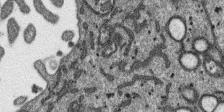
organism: Human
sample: Lung epithelial cells infected with SARS-CoV-2